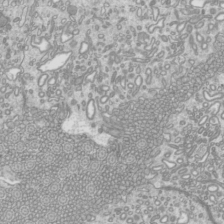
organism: Mouse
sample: Cilia; mouse epididymis